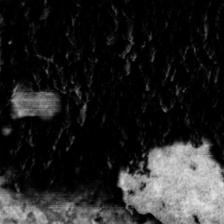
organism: Toxoplasma gondii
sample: Parasites in a vacuole inside a host cell